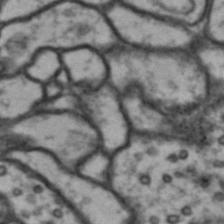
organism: Drosophila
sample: Brain